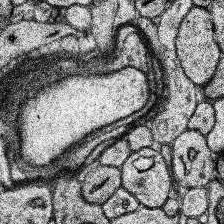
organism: Human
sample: Temporal Lobe